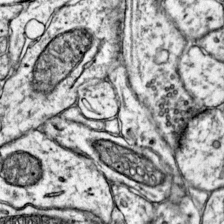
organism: Mouse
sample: Primary visual cortex